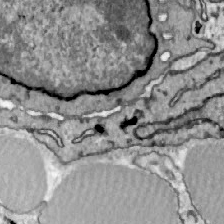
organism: Zebrafish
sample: Actinotrichia fibers